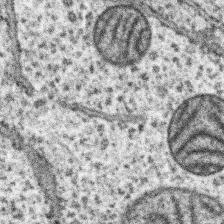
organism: Human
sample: HeLa cells